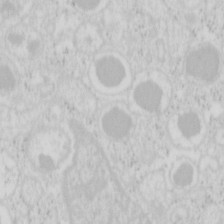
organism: Mouse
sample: Pancreas